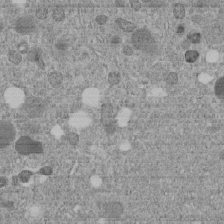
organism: C. elegans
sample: C. elegans embryo early stage